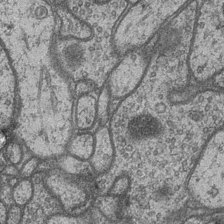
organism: Drosophila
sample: Optic medulla